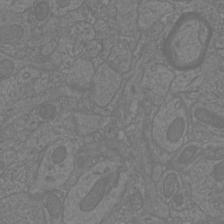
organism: Mouse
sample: Cortical neurons